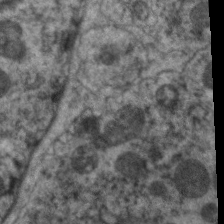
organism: C. elegans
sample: Pharynx